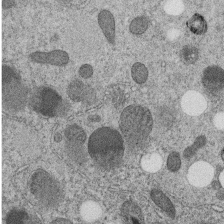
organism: C. elegans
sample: C. elegans embryo early stage